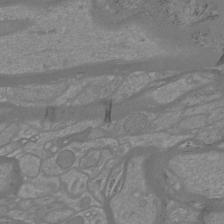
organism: Mouse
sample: Cortical neurons